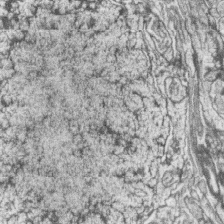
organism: Zebrafish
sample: synaptic ribbons in rod cells and cone cells